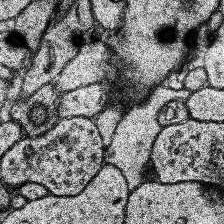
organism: Human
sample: Temporal Lobe